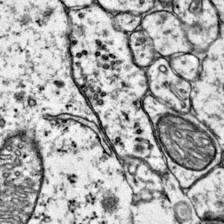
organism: Mouse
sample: Primary visual cortex